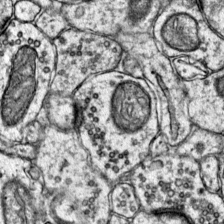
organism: Mouse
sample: Primary visual cortex